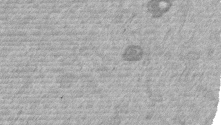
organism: Mouse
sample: Dividing mouse embryo 1 cell stage